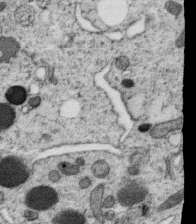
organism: C. elegans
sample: C. elegans oocyte; sperm cells